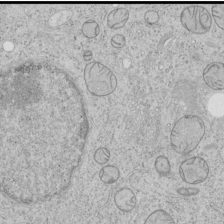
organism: Human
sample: Mitochondria in HCT116 cells